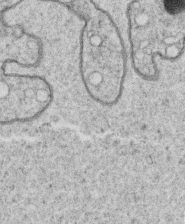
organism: C. elegans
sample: C. elegans oocyte; sperm cells